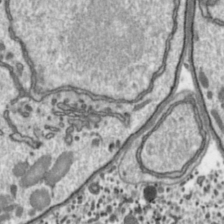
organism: Toxoplasma gondii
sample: Parasites in a vacuole inside a host cell